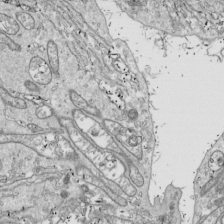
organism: Drosophila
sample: Cell division; meiosis; drosophila spermatocytes